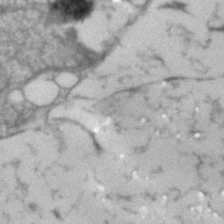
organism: Human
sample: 1205lu cells